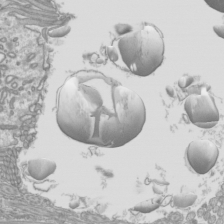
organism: Mouse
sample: Cilia; mouse epididymis